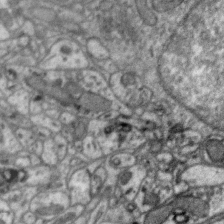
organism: Zebra finch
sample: Brain